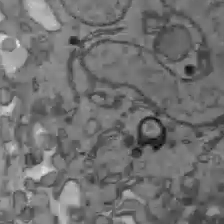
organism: C57BL Mouse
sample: Liver